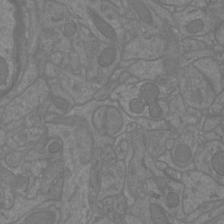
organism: Mouse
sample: Cortical neurons